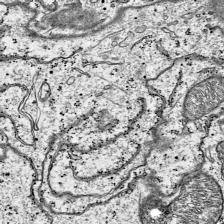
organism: Mouse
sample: Visual Cortex